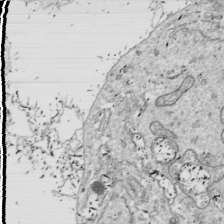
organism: Drosophila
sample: Cell division; meiosis; drosophila spermatocytes